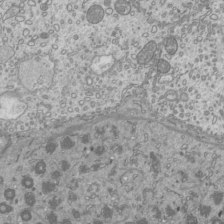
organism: Mouse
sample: Cilia; mouse epididymis